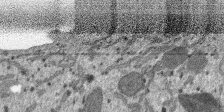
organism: Human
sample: Lung epithelial cells infected with SARS-CoV-2